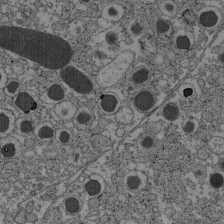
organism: C57BL Mouse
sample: Pancreatic islet